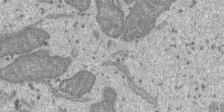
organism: Human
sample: Lung epithelial cells infected with SARS-CoV-2